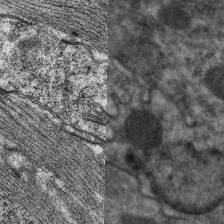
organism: C. elegans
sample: Pharynx